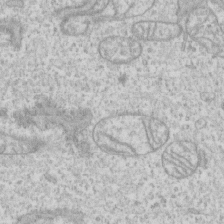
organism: Human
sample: CRL-1474